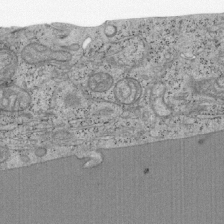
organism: Human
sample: HeLa cells